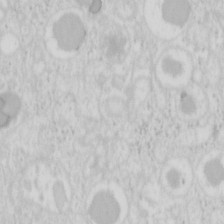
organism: Mouse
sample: Pancreas